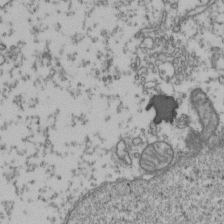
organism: Human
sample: Activated Jurkat CD4+ T cells